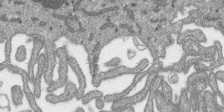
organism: Human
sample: Lung epithelial cells infected with SARS-CoV-2